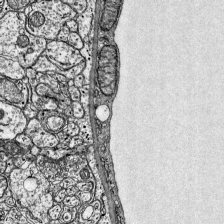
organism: Mouse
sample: Visual Cortex